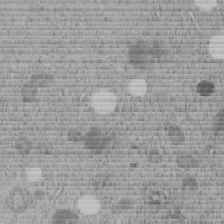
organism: C. elegans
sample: C. elegans embryo early stage